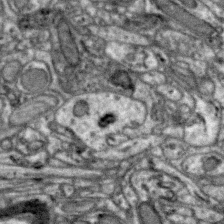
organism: Zebra finch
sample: Brain